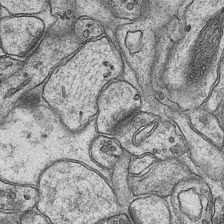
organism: Mouse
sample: CA1 Hippocampus